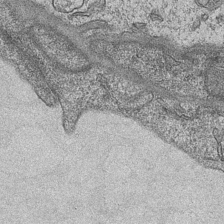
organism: Mouse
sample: CA1 Hippocampus